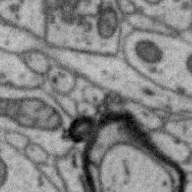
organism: Zebra finch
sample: Brain